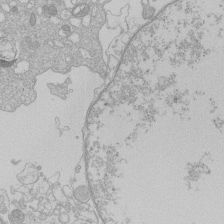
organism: Human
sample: Macrophage cells